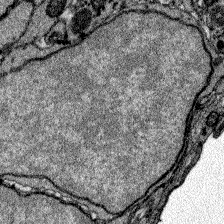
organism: Zebrafish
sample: Larval olfactory bulb